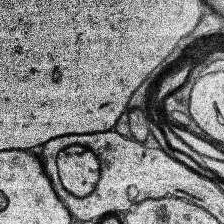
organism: Human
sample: Temporal Lobe